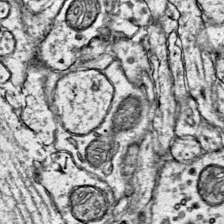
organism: Mouse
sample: Primary visual cortex